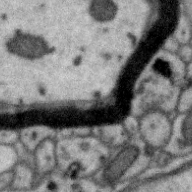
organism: Zebra finch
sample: Brain